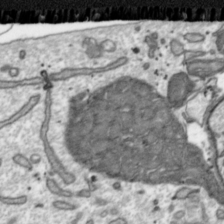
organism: Toxoplasma gondii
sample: Parasites in a vacuole inside a host cell